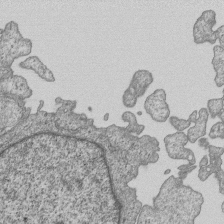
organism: Human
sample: MDA-MB-231 cells